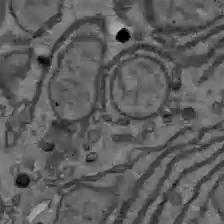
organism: C57BL Mouse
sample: Liver